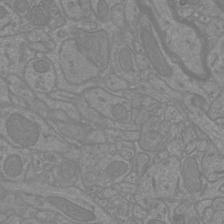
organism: Mouse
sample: Cortical neurons